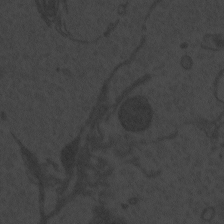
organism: Zebrafish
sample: Macrophage infected with Toxoplasma gondii